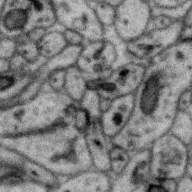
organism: Zebra finch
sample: Brain